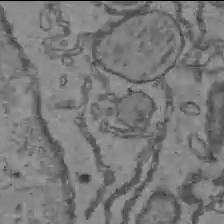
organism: C57BL Mouse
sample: Liver